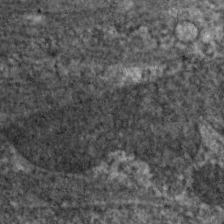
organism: C. elegans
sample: Pharynx